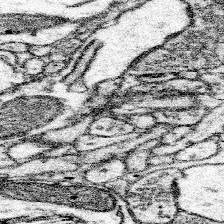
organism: Mouse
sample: Somatosensory cortex neuropil